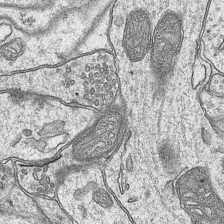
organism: Mouse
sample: CA1 Hippocampus